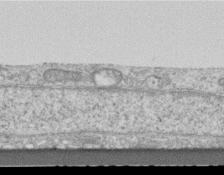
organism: Mouse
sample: Centriole in ependymal cells